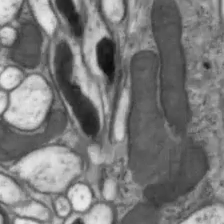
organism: Drosophila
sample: Optic lobe